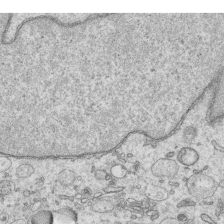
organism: Human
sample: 1205lu cells